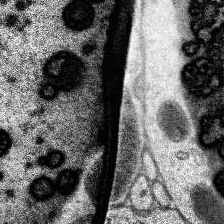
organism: Human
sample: Temporal Lobe